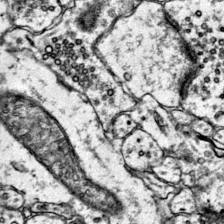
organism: Mouse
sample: Primary visual cortex